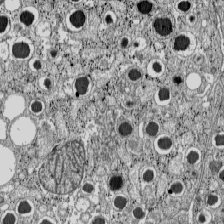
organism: C57BL Mouse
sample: Pancreatic islet